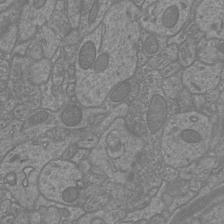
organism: Mouse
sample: Cortical neurons